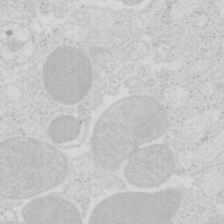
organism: Mouse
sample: Pancreas